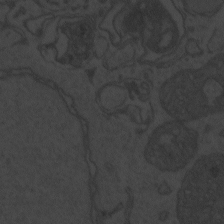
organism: Zebrafish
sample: Macrophage infected with Toxoplasma gondii